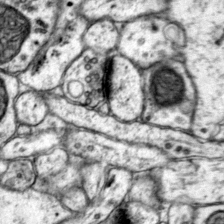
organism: Mouse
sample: Primary visual cortex